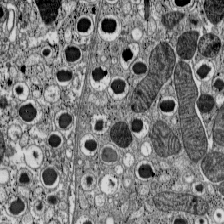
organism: C57BL Mouse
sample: Pancreatic islet